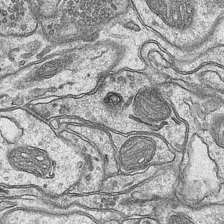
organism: Mouse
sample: CA1 Hippocampus